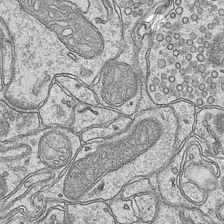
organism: Mouse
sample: CA1 Hippocampus